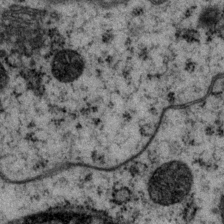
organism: P. pacificus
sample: Pharynx